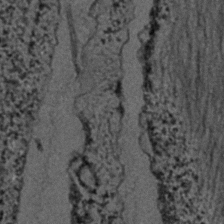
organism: C. elegans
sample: C. elegans embryo